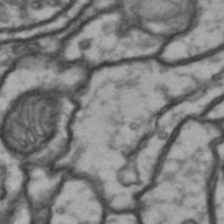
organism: Drosophila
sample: Brain